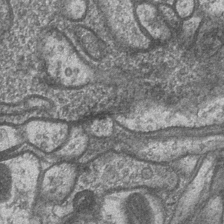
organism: Drosophila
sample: Optic medulla